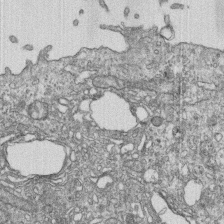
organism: Human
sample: HeLa cell HIV synapse